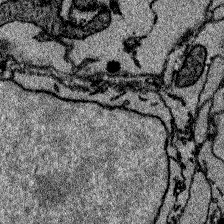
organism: Zebrafish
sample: Larval olfactory bulb